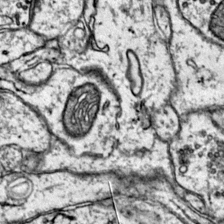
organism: Mouse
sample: Primary visual cortex